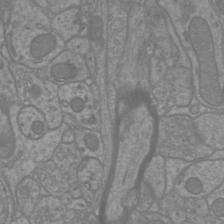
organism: Mouse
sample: Cortical neurons